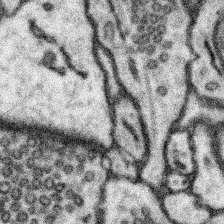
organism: Mouse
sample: Somatosensory cortex neuropil